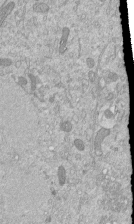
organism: Mouse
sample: ED-1 cell nuclei; centrioles